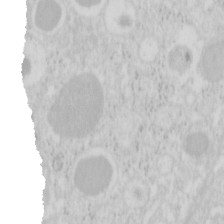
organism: Mouse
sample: Pancreas